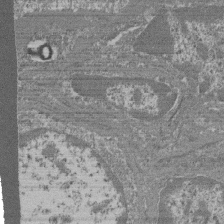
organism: Mouse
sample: Glomerulus